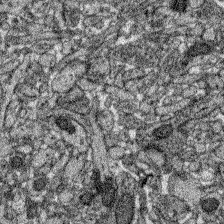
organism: Zebrafish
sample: Larval olfactory bulb